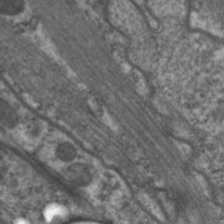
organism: C. elegans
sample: Pharynx